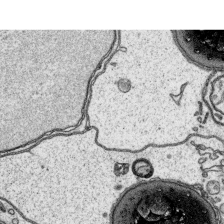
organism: Platynereis dumerilii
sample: Parapodia